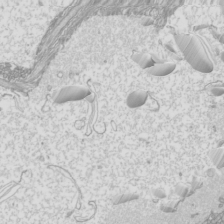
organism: Mouse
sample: Cilia; mouse epididymis